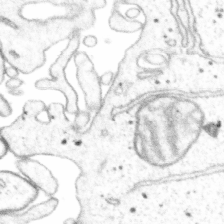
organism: Human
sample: HeLa cells